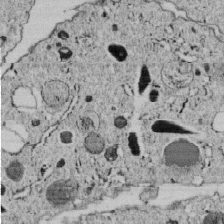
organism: C. elegans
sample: C. elegans embryo early stage